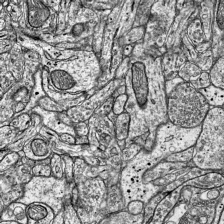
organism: Mouse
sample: Visual Cortex